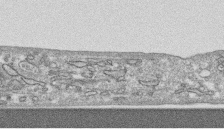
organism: Human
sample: CRL-1474